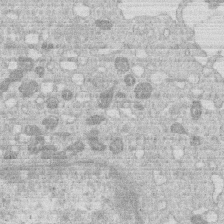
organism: Human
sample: Macrophage cells